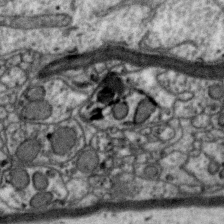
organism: Zebra finch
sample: Brain